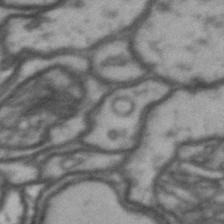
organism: Drosophila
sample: Brain